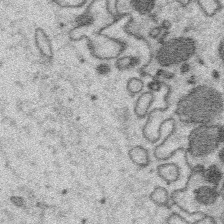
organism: Platynereis dumerilii